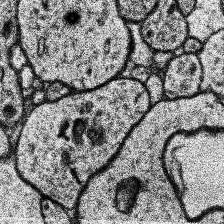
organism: Human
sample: Temporal Lobe